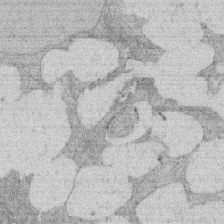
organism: Rat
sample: Salivary granule